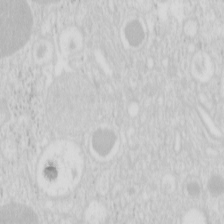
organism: Mouse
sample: Pancreas